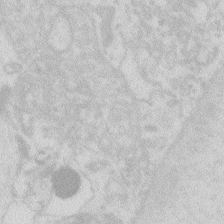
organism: Zebrafish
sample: Macrophage